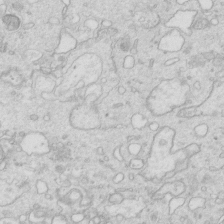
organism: Mouse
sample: Multiciliated cells